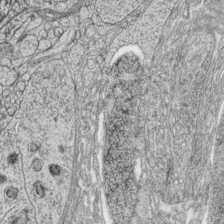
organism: Zebrafish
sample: synaptic ribbons in rod cells and cone cells